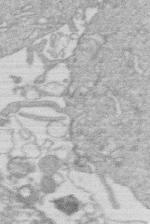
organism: Human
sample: Macrophage cells